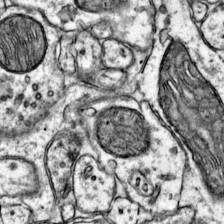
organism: Mouse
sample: Primary visual cortex